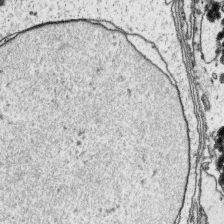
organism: Platynereis dumerilii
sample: Parapodia